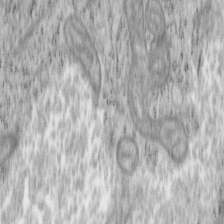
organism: Human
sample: HeLa cells